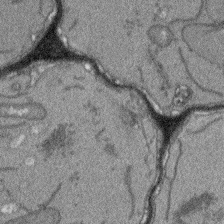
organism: Arabidopsis thaliana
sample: Root tip